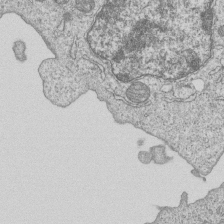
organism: Human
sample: MDA-MB-231 cells